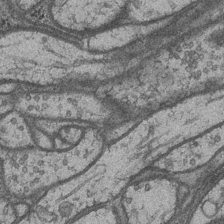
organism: Drosophila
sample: Optic medulla